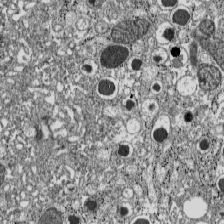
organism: C57BL Mouse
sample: Pancreatic islet